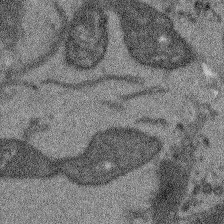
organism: Arabidopsis thaliana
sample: Root tip